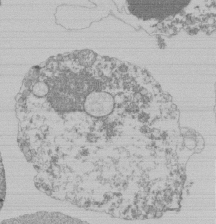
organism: Mouse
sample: Activated Pmel transgenic CD8+ T Cells